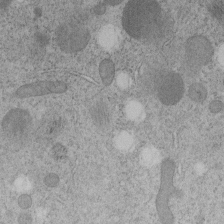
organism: C. elegans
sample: C. elegans embryo early stage